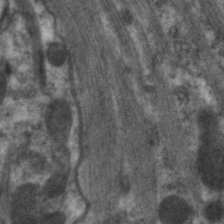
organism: C. elegans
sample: Pharynx